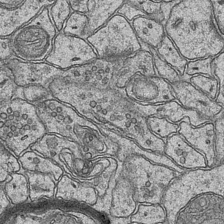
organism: Mouse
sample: CA1 Hippocampus